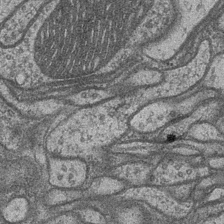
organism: Drosophila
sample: Optic medulla